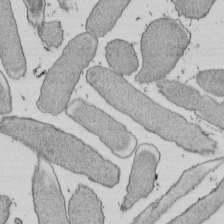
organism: E. coli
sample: Bacterial nucleoid